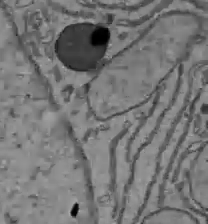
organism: C57BL Mouse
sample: Liver